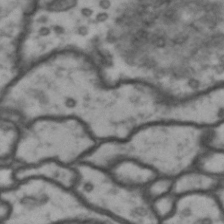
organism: Drosophila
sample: Brain